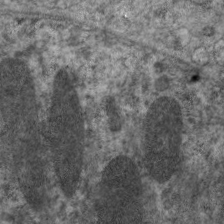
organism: C. elegans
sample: Pharynx